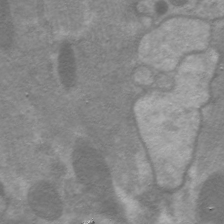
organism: C. elegans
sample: Pharynx